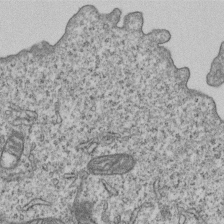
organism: Human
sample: MDA-MB-231 cells